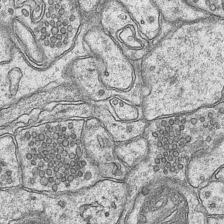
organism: Mouse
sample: CA1 Hippocampus